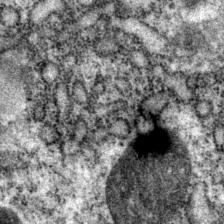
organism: P. pacificus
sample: Pharynx